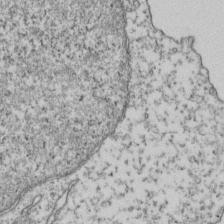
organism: Human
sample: Activated Jurkat CD4+ T cells